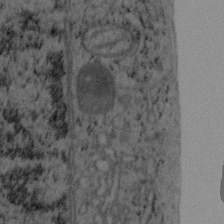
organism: Human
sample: HeLa cells